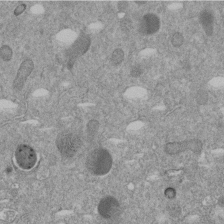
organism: C. elegans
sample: C. elegans embryo early stage